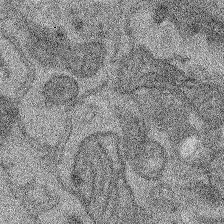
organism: Human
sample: HeLa cells